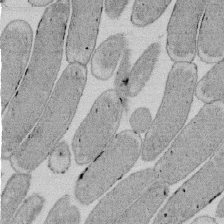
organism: E. coli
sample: Bacterial nucleoid